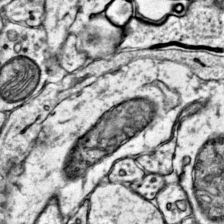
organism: Mouse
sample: Primary visual cortex